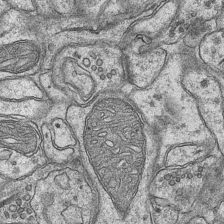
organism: Mouse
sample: CA1 Hippocampus